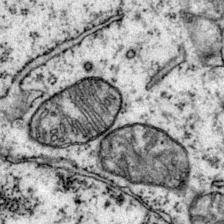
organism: Mouse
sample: Primary visual cortex